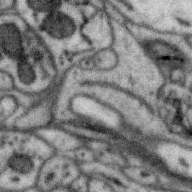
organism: Zebra finch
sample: Brain